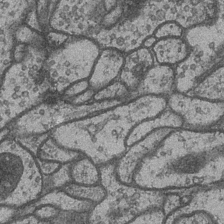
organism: Drosophila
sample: Optic medulla